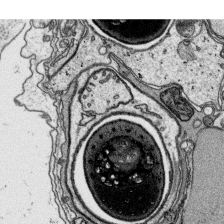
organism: Platynereis dumerilii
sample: Parapodia